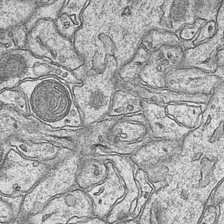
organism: Mouse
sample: CA1 Hippocampus